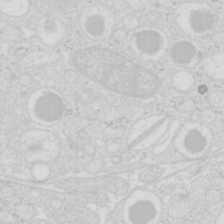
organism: Mouse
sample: Pancreas